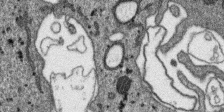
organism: Human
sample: Lung epithelial cells infected with SARS-CoV-2